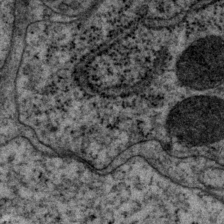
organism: P. pacificus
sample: Pharynx